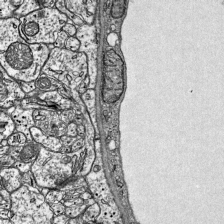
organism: Mouse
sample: Visual Cortex